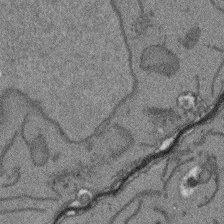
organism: Arabidopsis thaliana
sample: Root tip